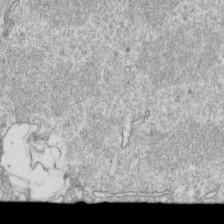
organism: Mouse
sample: Activated OT-1 CD8+ T cells